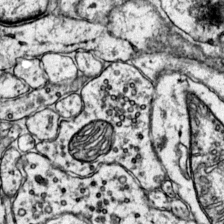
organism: Mouse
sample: Primary visual cortex